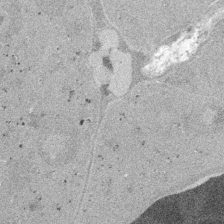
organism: Embia sp.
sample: Silk gland